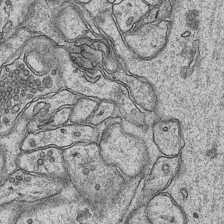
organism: Mouse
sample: CA1 Hippocampus